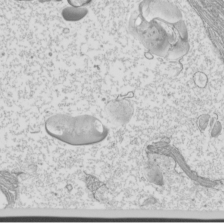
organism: Mouse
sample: Cilia; mouse epididymis